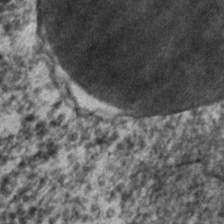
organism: C. elegans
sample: C. elegans embryo